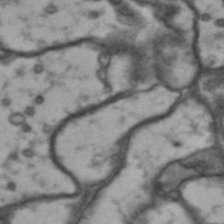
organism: Drosophila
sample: Brain